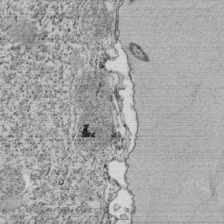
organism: Tetrahymena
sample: Cilia in tetrahymena